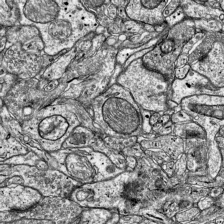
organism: Mouse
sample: Visual Cortex